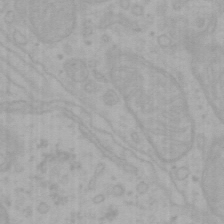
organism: Mouse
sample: Choroid plexus